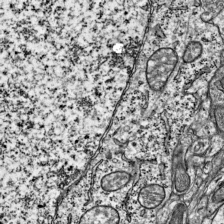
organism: Mouse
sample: Visual Cortex